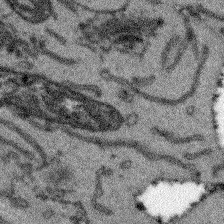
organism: Arabidopsis thaliana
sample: Root tip